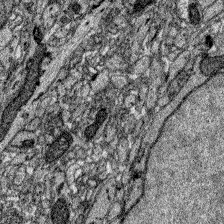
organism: Zebrafish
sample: Larval olfactory bulb